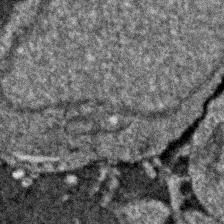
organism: Zebrafish